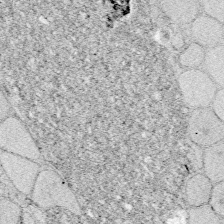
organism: Zebrafish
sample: Whole-Brain